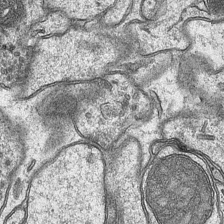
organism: Mouse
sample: CA1 Hippocampus